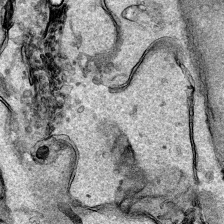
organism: Human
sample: Mitochondria in HCT116 cells